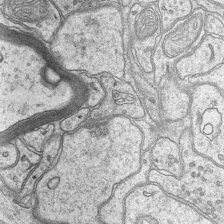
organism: Mouse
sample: CA1 Hippocampus